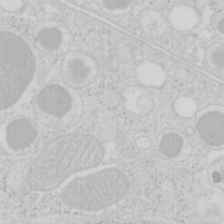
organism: Mouse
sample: Pancreas